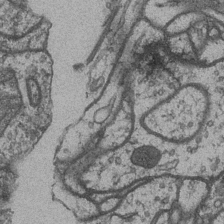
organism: Drosophila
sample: Optic medulla